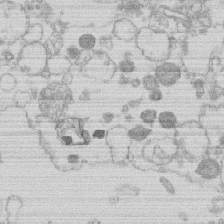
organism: Human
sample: Macrophage cells